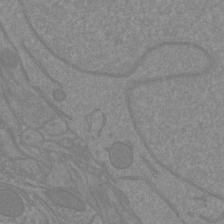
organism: Mouse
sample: Cortical neurons